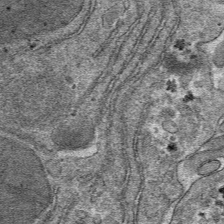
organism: Mouse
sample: Mouse hepatocytes